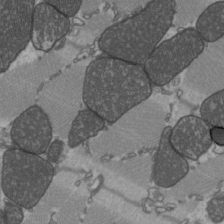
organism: C57BL Mouse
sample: Heart